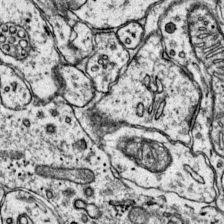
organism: Mouse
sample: Primary visual cortex